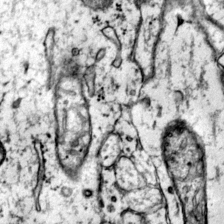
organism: Mouse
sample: Primary visual cortex